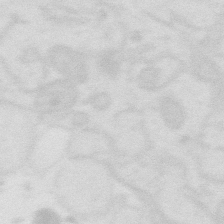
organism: Human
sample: HeLa cells